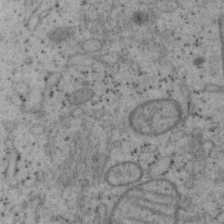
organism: Human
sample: HeLa cells